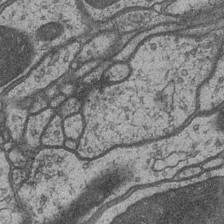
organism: Drosophila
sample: Optic medulla